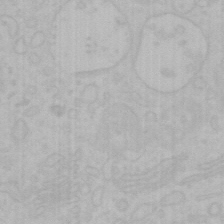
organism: Mouse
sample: Choroid plexus